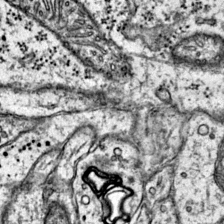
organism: Mouse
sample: Primary visual cortex